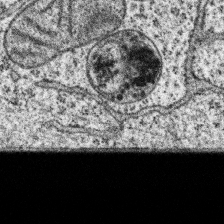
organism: Human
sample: HeLa cells